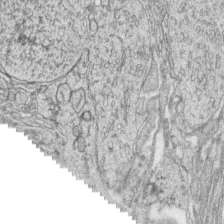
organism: Zebrafish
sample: synaptic ribbons in rod cells and cone cells